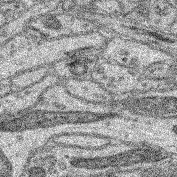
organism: Mouse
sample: Retina